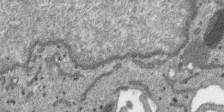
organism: Human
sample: Lung epithelial cells infected with SARS-CoV-2